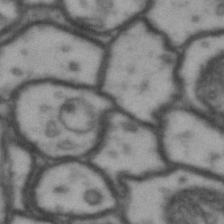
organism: Drosophila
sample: Brain